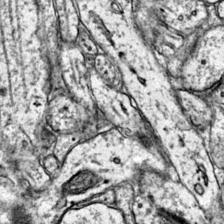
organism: Mouse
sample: Primary visual cortex